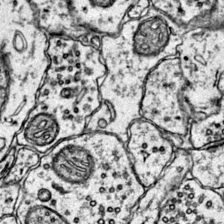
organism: Mouse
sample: Primary visual cortex